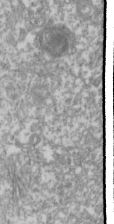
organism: Drosophila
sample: Cell division; meiosis; drosophila spermatocytes